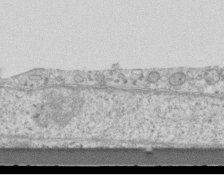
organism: Mouse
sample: Centriole in ependymal cells